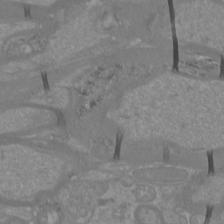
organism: Mouse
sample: Cortical neurons